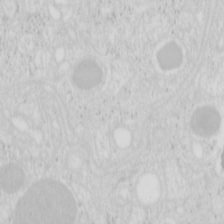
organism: Mouse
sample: Pancreas